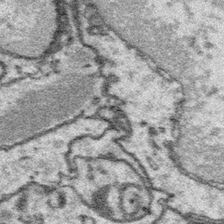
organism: Platynereis dumerilii